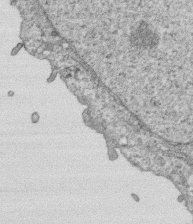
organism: Human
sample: HeLa cell HIV synapse